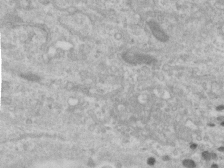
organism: Human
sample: Centriole in RPE cells